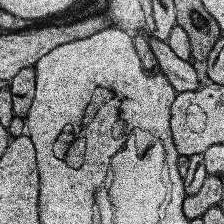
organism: Human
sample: Temporal Lobe